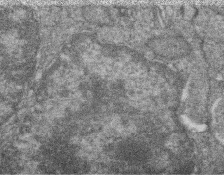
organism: Zebrafish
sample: Cilia; retinal pigment epithelium